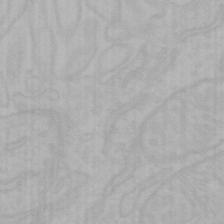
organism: Mouse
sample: Choroid plexus